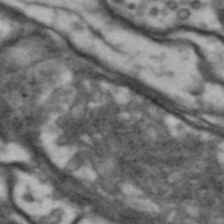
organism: Drosophila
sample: Brain